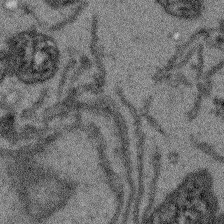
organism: Arabidopsis thaliana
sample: Root tip